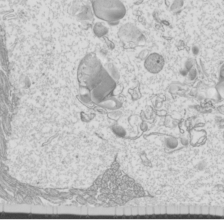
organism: Mouse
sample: Cilia; mouse epididymis